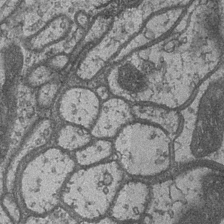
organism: Drosophila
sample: Optic medulla